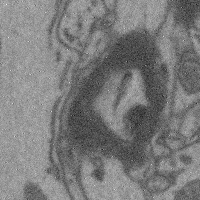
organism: Mouse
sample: Cerebral cortex